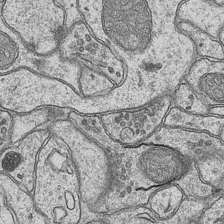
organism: Mouse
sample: CA1 Hippocampus